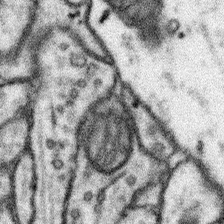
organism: Mouse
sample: Somatosensory cortex neuropil